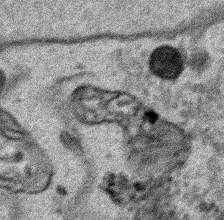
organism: Human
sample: Mitochondria in HCT116 cells